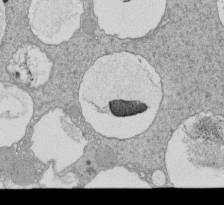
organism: Tetrahymena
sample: Cilia in tetrahymena